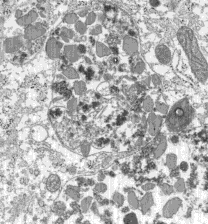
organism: C57BL Mouse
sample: Pancreatic islet